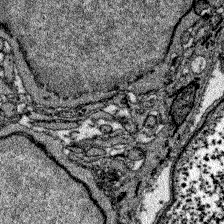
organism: Zebrafish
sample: Larval olfactory bulb